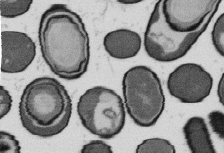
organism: B. subtilis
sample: Bacterial spore